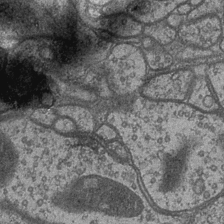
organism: Drosophila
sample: Optic medulla